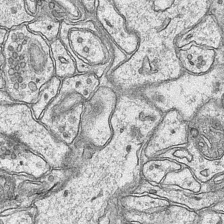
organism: Mouse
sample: CA1 Hippocampus